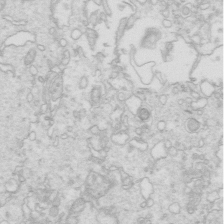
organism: Mouse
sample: Multiciliated cells